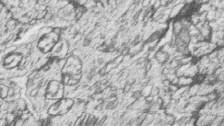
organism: Zebrafish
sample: synaptic ribbons in rod cells and cone cells